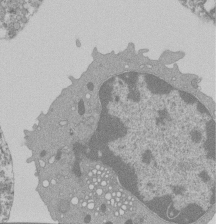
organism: Mouse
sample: Activated Pmel transgenic CD8+ T Cells